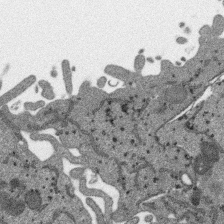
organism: Human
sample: Lung epithelial cells infected with SARS-CoV-2